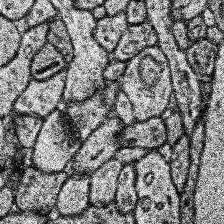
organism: Human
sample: Temporal Lobe